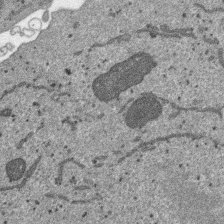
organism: Human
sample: Lung epithelial cells infected with SARS-CoV-2